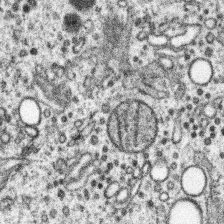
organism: Human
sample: HeLa cells